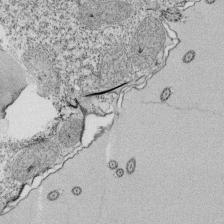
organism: Tetrahymena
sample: Cilia in tetrahymena